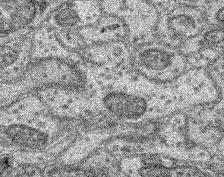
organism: Mouse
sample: Retina